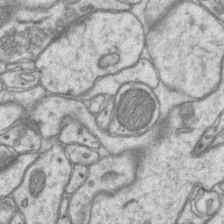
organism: Mouse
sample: CA1 Hippocampus